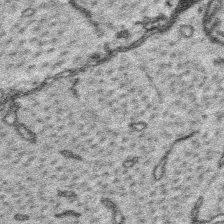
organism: Platynereis dumerilii